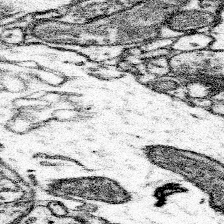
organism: Mouse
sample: Somatosensory cortex neuropil